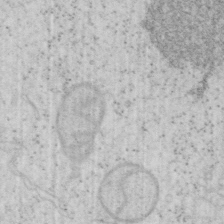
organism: Human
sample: HeLa cells